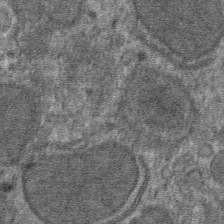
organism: Mouse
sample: Mouse hepatocytes